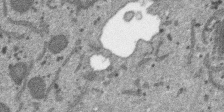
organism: Human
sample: Lung epithelial cells infected with SARS-CoV-2